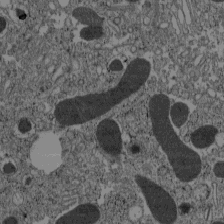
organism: C57BL Mouse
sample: Pancreatic islet